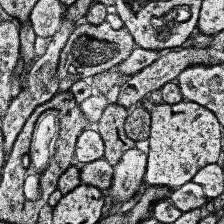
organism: Human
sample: Temporal Lobe